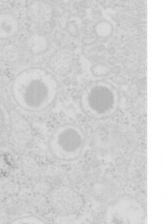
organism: Mouse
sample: Pancreas